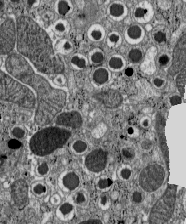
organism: C57BL Mouse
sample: Pancreatic islet